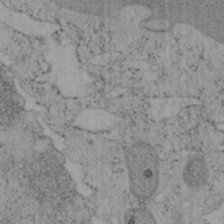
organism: Mouse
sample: OT-I killer T cells with ID8 ovarian cancer cells